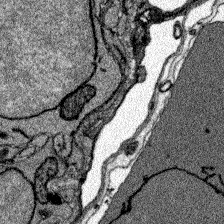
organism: Zebrafish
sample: Larval olfactory bulb